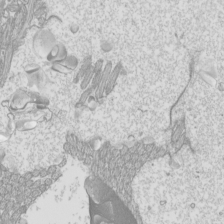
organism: Mouse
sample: Cilia; mouse epididymis